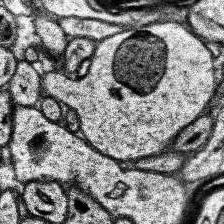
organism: Human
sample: Temporal Lobe